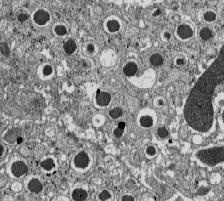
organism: C57BL Mouse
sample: Pancreatic islet